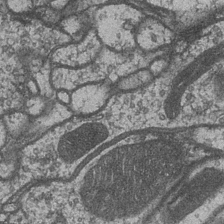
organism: Drosophila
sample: Optic medulla